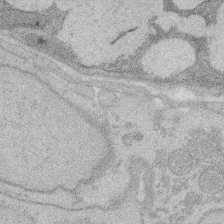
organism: Rat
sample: Salivary granule